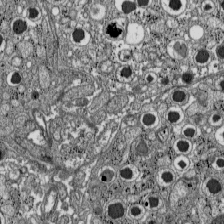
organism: C57BL Mouse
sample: Pancreatic islet